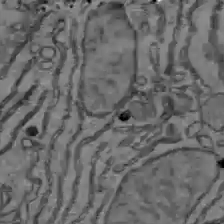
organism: C57BL Mouse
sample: Liver